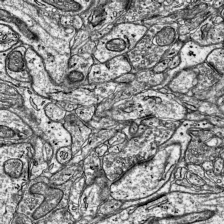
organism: Mouse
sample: Visual Cortex